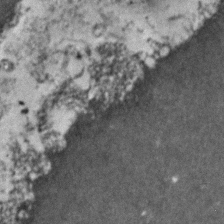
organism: Zebrafish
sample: Zebrafish embryo